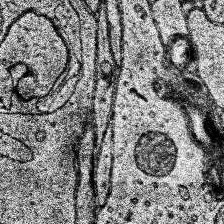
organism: Human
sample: Temporal Lobe